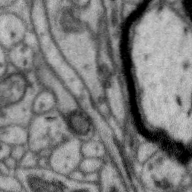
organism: Zebra finch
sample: Brain